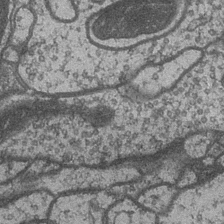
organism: Drosophila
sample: Optic medulla